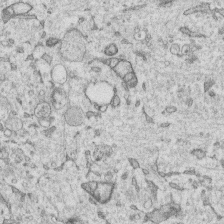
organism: Human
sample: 1205lu cells